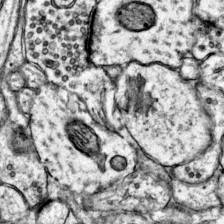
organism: Mouse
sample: Primary visual cortex